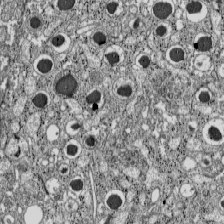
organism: C57BL Mouse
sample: Pancreatic islet